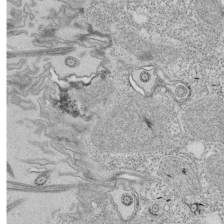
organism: Tetrahymena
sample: Cilia in tetrahymena